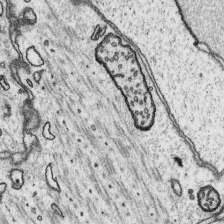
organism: Platynereis dumerilii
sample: Parapodia